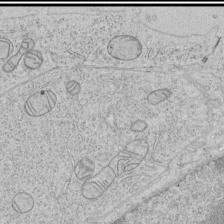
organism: Human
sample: Mitochondria in HCT116 cells